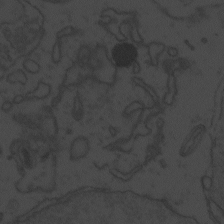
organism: Zebrafish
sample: Macrophage infected with Toxoplasma gondii